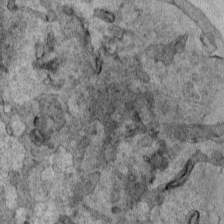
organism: Human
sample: Mitochondria in HCT116 cells